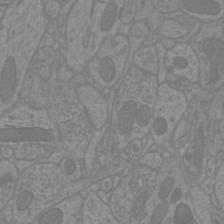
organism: Mouse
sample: Cortical neurons